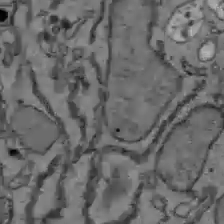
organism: C57BL Mouse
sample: Liver